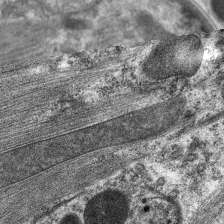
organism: C. elegans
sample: Pharynx